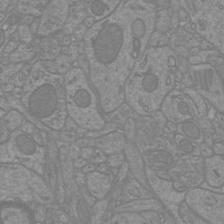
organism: Mouse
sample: Cortical neurons